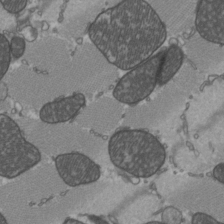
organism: C57BL Mouse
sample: Heart